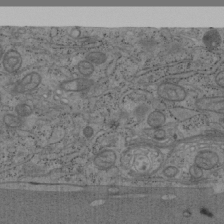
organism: Human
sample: HeLa cells